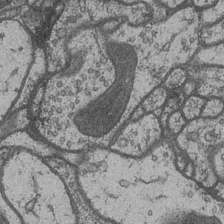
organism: Drosophila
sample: Optic medulla